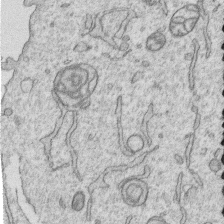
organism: Human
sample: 1205lu cells